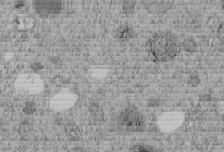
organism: C. elegans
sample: C. elegans embryo early stage